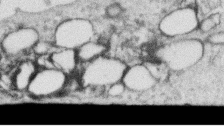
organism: Human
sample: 1205lu cells